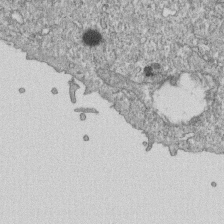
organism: Human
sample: HeLa cell HIV synapse